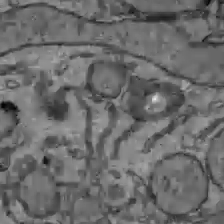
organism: C57BL Mouse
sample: Liver